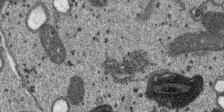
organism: Human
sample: Lung epithelial cells infected with SARS-CoV-2